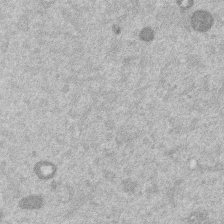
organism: Mouse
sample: Dividing mouse embryo 1 cell stage